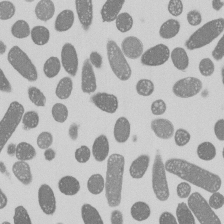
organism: E. coli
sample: Bacterial nucleoid